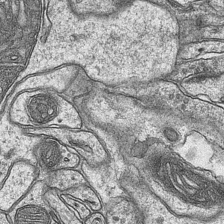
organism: Mouse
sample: CA1 Hippocampus